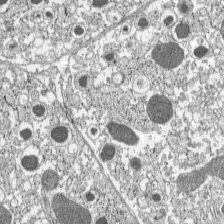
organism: C57BL Mouse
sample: Pancreatic islet